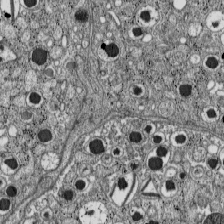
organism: C57BL Mouse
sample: Pancreatic islet